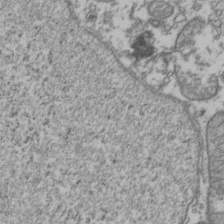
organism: Human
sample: Activated Jurkat CD4+ T cells